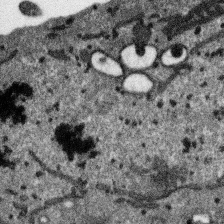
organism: Human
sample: Lung epithelial cells infected with SARS-CoV-2